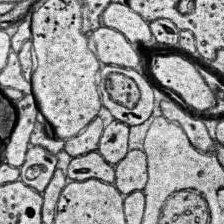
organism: Human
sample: Temporal Lobe